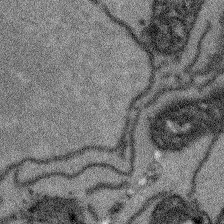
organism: Arabidopsis thaliana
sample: Root tip